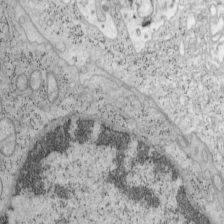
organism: Mouse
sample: OT-I killer T cells with ID8 ovarian cancer cells